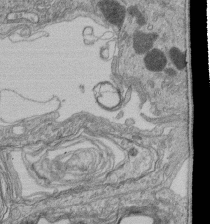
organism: Human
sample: Retinal organoid Rod and Cone cells